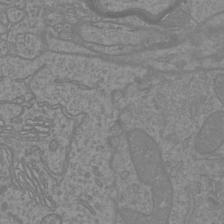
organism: Mouse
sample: Cortical neurons